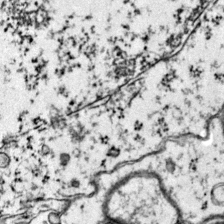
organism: Mouse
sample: Primary visual cortex